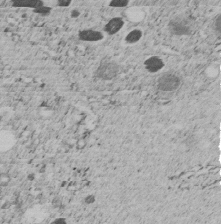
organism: C. elegans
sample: C. elegans embryo early stage